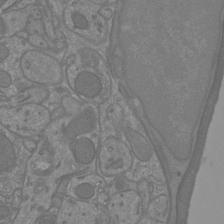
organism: Mouse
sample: Cortical neurons